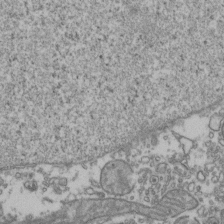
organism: Human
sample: Activated Jurkat CD4+ T cells